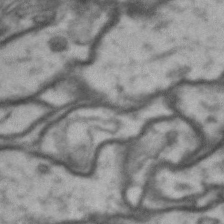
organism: Drosophila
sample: Brain